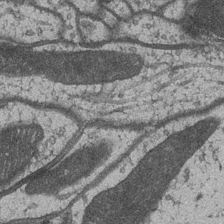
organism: Drosophila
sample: Optic medulla